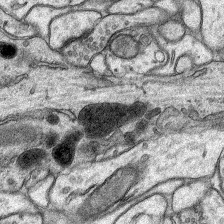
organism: Rat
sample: Hippocampus